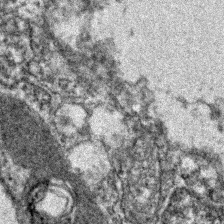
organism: Zebrafish